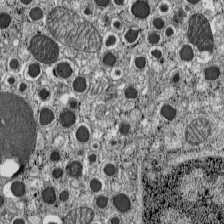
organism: C57BL Mouse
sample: Pancreatic islet